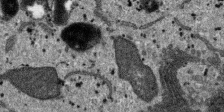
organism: Human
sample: Lung epithelial cells, uninfected (mock) control